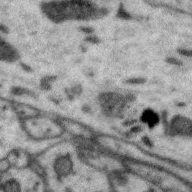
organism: Zebra finch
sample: Brain